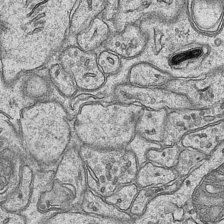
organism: Mouse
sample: CA1 Hippocampus